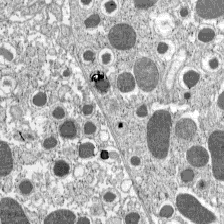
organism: C57BL Mouse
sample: Pancreatic islet